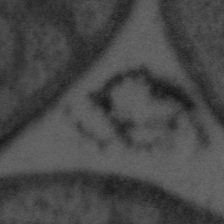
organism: Tuwongella immobilis